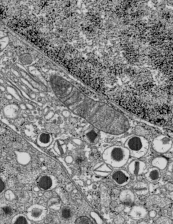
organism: C57BL Mouse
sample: Pancreatic islet